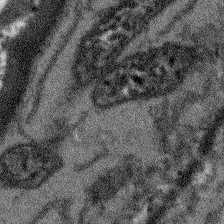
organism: Arabidopsis thaliana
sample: Root tip